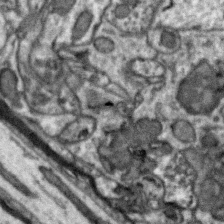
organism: Zebra finch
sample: Brain